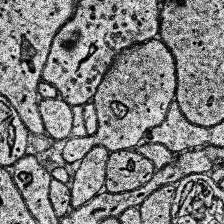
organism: Human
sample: Temporal Lobe